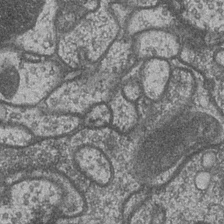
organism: Drosophila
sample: Optic medulla